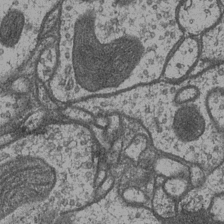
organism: Drosophila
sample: Optic medulla